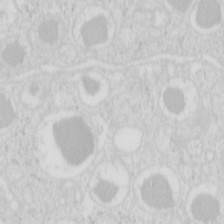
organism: Mouse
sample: Pancreas